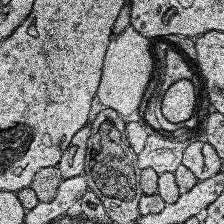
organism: Human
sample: Temporal Lobe